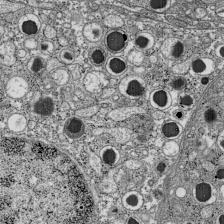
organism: C57BL Mouse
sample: Pancreatic islet